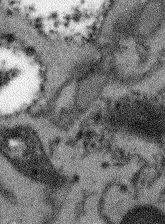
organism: Arabidopsis thaliana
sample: Root tip